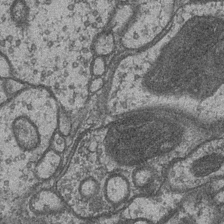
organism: Drosophila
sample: Optic medulla